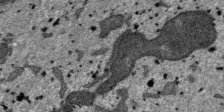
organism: Human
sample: Lung epithelial cells, uninfected (mock) control